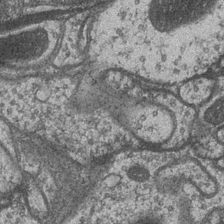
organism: Drosophila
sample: Optic medulla